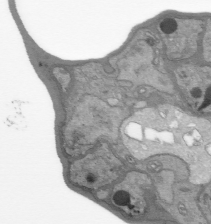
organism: Plasmodium falciparum